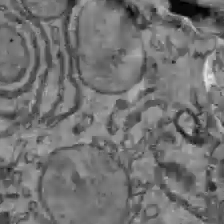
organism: C57BL Mouse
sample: Liver